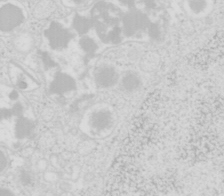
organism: Mouse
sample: Pancreas